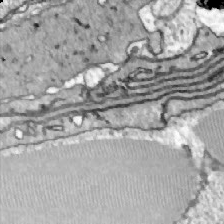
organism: Zebrafish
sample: Actinotrichia fibers